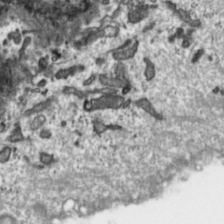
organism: Toxoplasma gondii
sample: Parasites in a vacuole inside a host cell